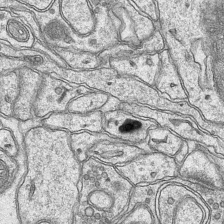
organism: Mouse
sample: CA1 Hippocampus